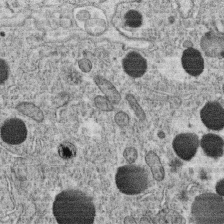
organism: C. elegans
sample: C. elegans oocyte; sperm cells